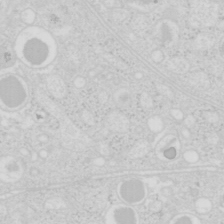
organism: Mouse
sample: Pancreas